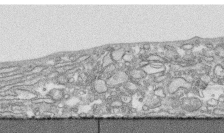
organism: Human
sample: CRL-1474